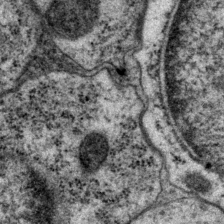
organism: P. pacificus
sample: Pharynx